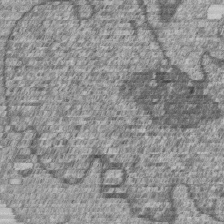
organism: Human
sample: MDA-MB-231 cells